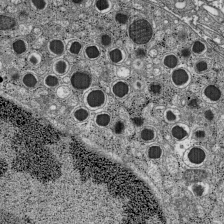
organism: C57BL Mouse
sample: Pancreatic islet